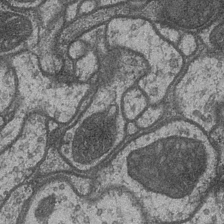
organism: Drosophila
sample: Optic medulla